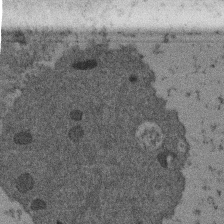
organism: Mouse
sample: Dividing mouse embryo 1 cell stage